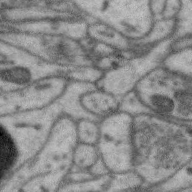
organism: Zebra finch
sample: Brain